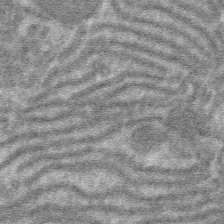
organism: Mouse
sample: Mouse hepatocytes